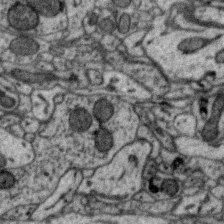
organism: Zebra finch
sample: Brain